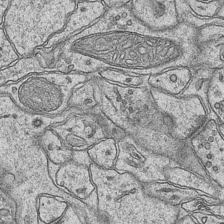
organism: Mouse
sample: CA1 Hippocampus